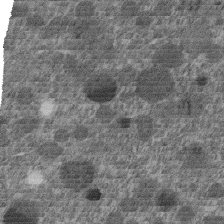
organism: C. elegans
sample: C. elegans embryo early stage